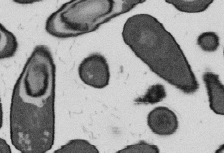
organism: B. subtilis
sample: Bacterial spore